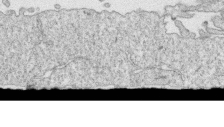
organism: Human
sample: HeLa cell HIV synapse